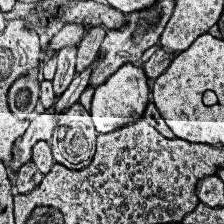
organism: Human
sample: Temporal Lobe